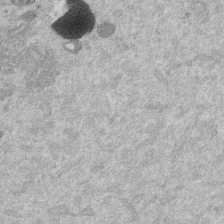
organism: Mouse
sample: Dividing mouse embryo 1 cell stage